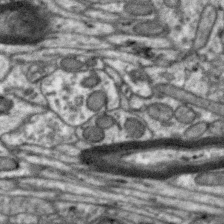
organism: Zebra finch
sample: Brain